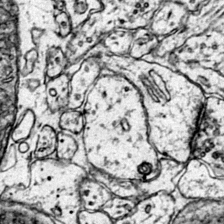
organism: Mouse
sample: Primary visual cortex